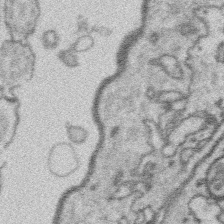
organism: Platynereis dumerilii